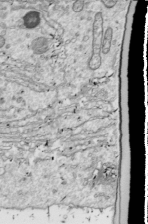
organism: Drosophila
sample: Cell division; meiosis; drosophila spermatocytes